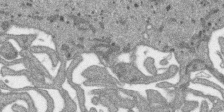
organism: Human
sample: Lung epithelial cells infected with SARS-CoV-2